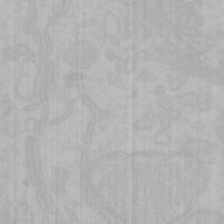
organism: Mouse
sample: Choroid plexus